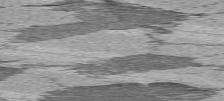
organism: C57BL Mouse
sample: Heart